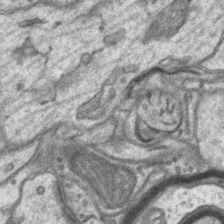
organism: Mouse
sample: CA1 Hippocampus